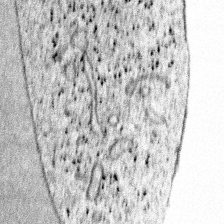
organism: Human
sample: HeLa cells